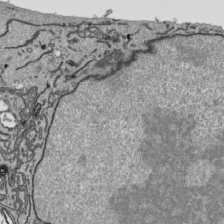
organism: Human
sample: Mitochondria in HCT116 cells